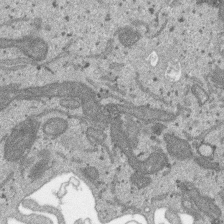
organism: Human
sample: Lung epithelial cells infected with SARS-CoV-2